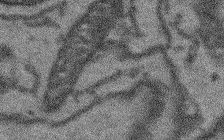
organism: Arabidopsis thaliana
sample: Root tip